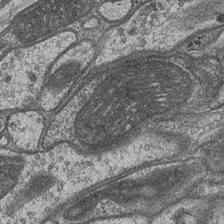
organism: Drosophila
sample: Optic medulla